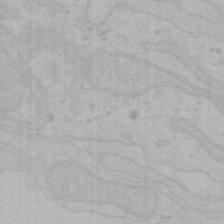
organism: Mouse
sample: Choroid plexus